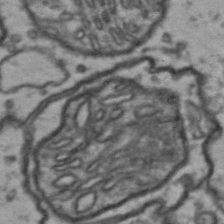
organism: Drosophila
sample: Brain